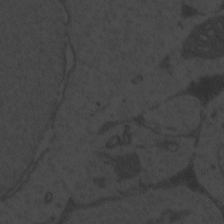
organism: Zebrafish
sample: Macrophage infected with Toxoplasma gondii